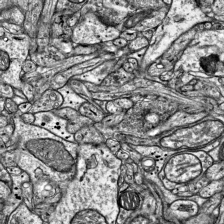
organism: Mouse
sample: Visual Cortex